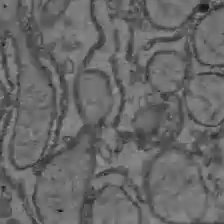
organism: C57BL Mouse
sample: Liver